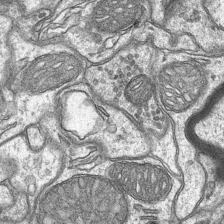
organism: Mouse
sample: CA1 Hippocampus